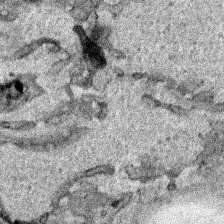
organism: Human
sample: Mitochondria in HCT116 cells